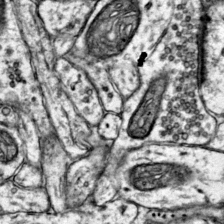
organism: Mouse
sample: Primary visual cortex